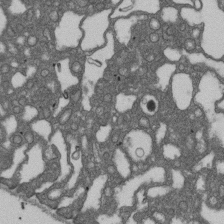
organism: Drosophila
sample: Nephrocyte